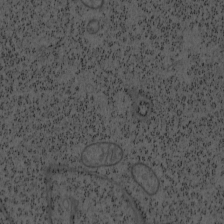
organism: Mouse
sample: OT-I killer T cells with ID8 ovarian cancer cells